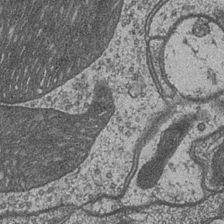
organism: Drosophila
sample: Optic medulla